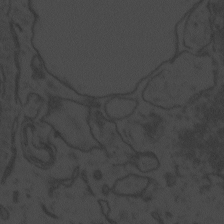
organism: Zebrafish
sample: Macrophage infected with Toxoplasma gondii